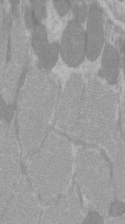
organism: C57BL Mouse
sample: Tibialis anterior muscle cell